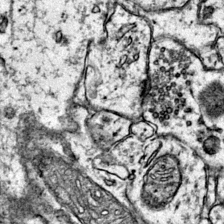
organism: Mouse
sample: Primary visual cortex